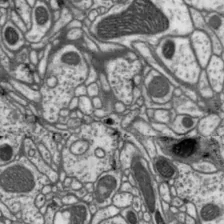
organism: Drosophila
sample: Protocerebral bridge